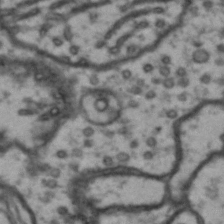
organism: Drosophila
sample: Brain